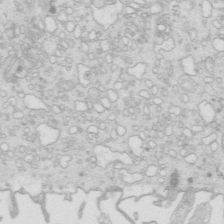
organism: Mouse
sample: Multiciliated cells